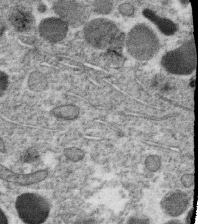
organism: C. elegans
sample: C. elegans oocyte; sperm cells